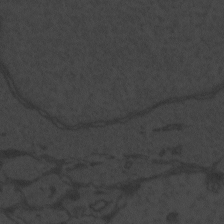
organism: Zebrafish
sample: Macrophage infected with Toxoplasma gondii